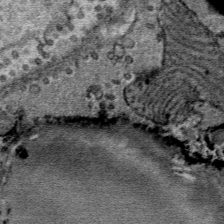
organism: Mouse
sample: Mouse Salivary gland